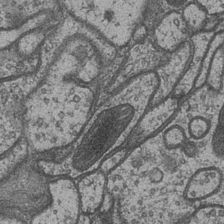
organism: Drosophila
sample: Optic medulla